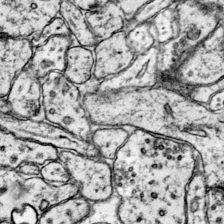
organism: Mouse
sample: Primary visual cortex